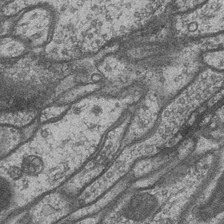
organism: Drosophila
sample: Optic medulla